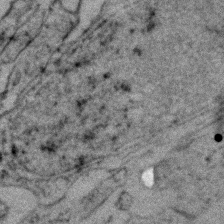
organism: Zebrafish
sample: Zebrafish embryo